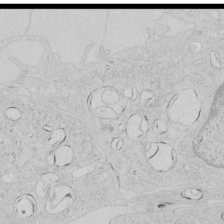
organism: Human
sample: Mitochondria in HCT116 cells